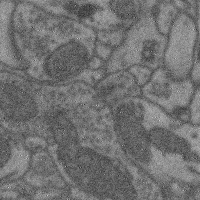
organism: Mouse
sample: Cerebral cortex